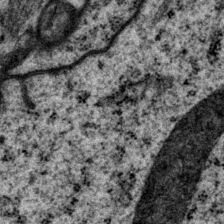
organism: P. pacificus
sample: Pharynx